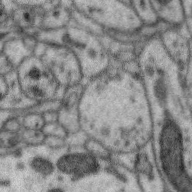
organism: Zebra finch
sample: Brain